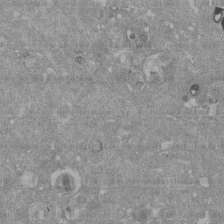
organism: Mouse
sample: ED-1 cell nuclei; centrioles